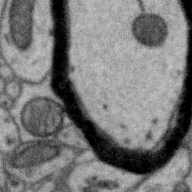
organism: Zebra finch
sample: Brain